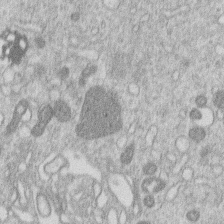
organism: Human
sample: Macrophage cells